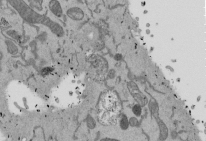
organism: Mouse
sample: ED-1 cell nuclei; centrioles